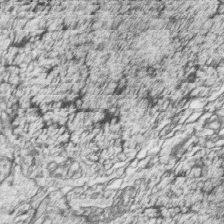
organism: Zebrafish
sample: synaptic ribbons in rod cells and cone cells